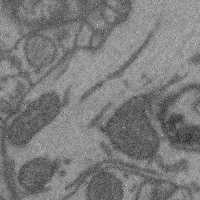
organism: Mouse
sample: Cerebral cortex